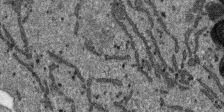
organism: Human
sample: Lung epithelial cells infected with SARS-CoV-2